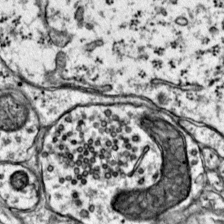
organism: Mouse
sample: Primary visual cortex